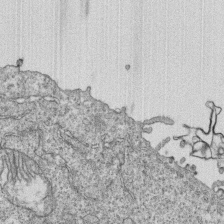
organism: Human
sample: HeLa cell HIV synapse